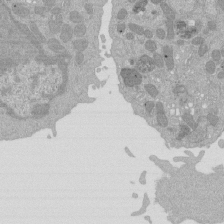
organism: Mouse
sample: Activated Pmel transgenic CD8+ T Cells